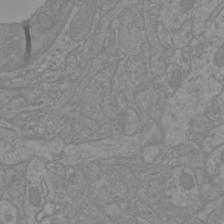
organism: Mouse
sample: Cortical neurons